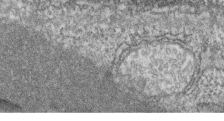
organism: Zebrafish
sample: Cilia; retinal pigment epithelium